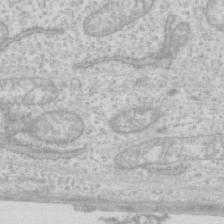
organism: Human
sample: Fibroblast cells